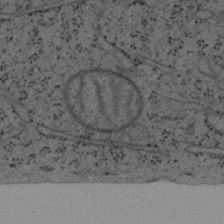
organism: Human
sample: HeLa cells